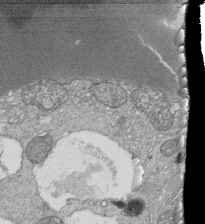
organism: Tetrahymena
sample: Cilia in tetrahymena